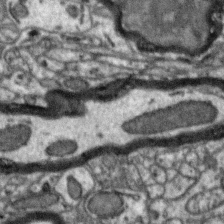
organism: Zebra finch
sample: Brain